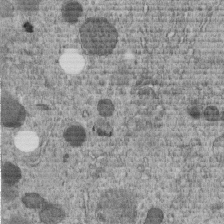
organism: C. elegans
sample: C. elegans embryo early stage